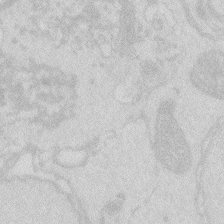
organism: Zebrafish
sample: Macrophage